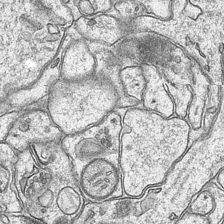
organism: Mouse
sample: CA1 Hippocampus